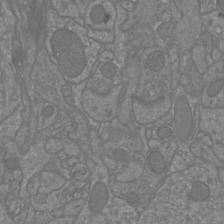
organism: Mouse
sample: Cortical neurons